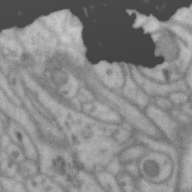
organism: Zebra finch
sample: Brain